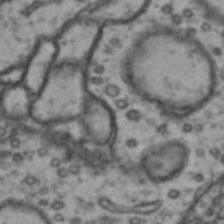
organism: Drosophila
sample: Brain